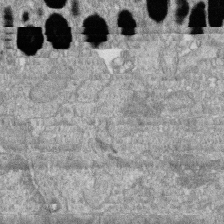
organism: Zebrafish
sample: Cilia; retinal pigment epithelium